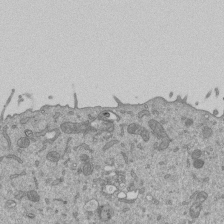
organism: Mouse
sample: ED-1 cell nuclei; centrioles